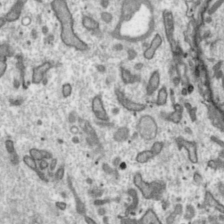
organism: Toxoplasma gondii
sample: Parasites in a vacuole inside a host cell